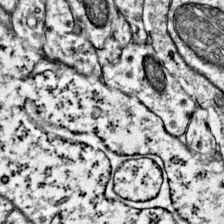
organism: Mouse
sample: Primary visual cortex